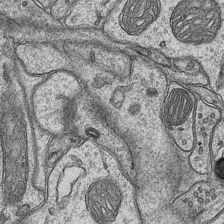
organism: Mouse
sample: CA1 Hippocampus